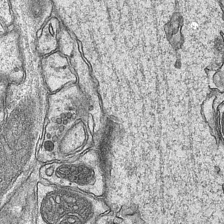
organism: Mouse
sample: CA1 Hippocampus